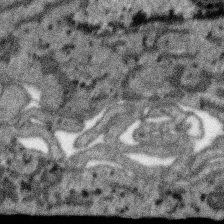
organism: Human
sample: Lung epithelial cells infected with SARS-CoV-2